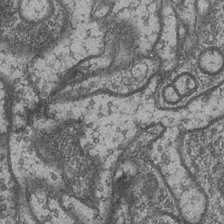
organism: Drosophila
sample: Optic medulla